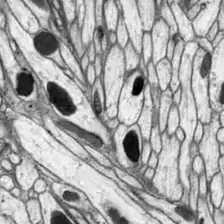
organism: Drosophila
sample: Optic lobe